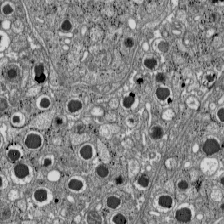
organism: C57BL Mouse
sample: Pancreatic islet